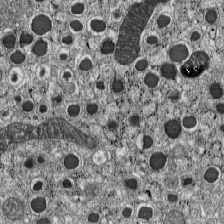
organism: C57BL Mouse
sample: Pancreatic islet